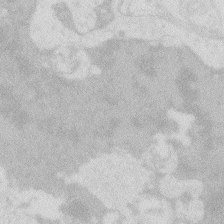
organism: Zebrafish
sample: Macrophage